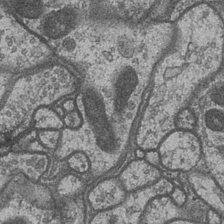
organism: Drosophila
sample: Optic medulla